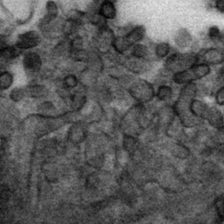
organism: Mouse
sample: Mouse hepatocytes